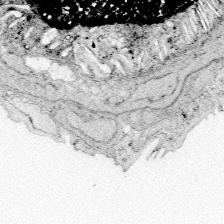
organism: Zebrafish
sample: Whole-Brain